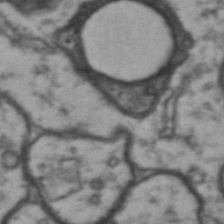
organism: Drosophila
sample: Brain